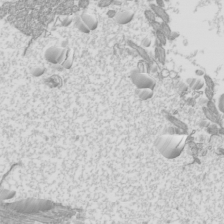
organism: Mouse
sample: Cilia; mouse epididymis